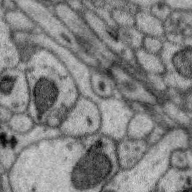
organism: Zebra finch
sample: Brain